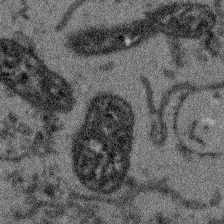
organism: Arabidopsis thaliana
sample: Root tip